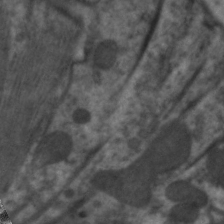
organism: C. elegans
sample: Pharynx